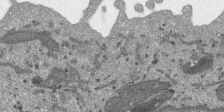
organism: Human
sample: Lung epithelial cells infected with SARS-CoV-2